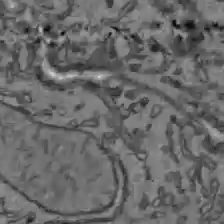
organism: C57BL Mouse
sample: Liver